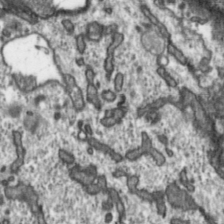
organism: Toxoplasma gondii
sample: Parasites in a vacuole inside a host cell